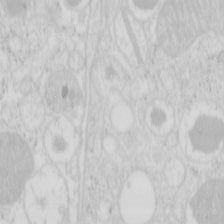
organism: Mouse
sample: Pancreas